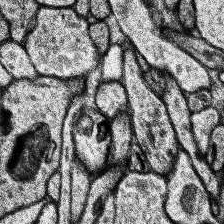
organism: Human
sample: Temporal Lobe